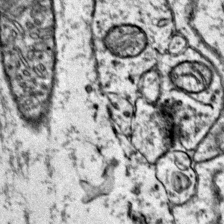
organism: Mouse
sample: Primary visual cortex